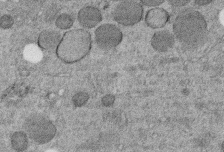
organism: C. elegans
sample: C. elegans embryo early stage